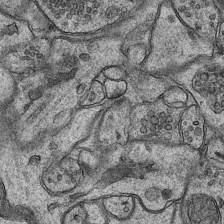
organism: Mouse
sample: CA1 Hippocampus